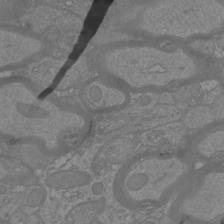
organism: Mouse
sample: Cortical neurons